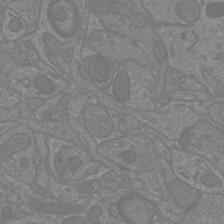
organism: Mouse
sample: Cortical neurons